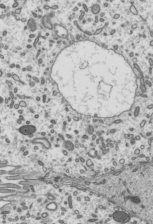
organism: Mouse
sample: Mouse epididymis efferent ductule cilia